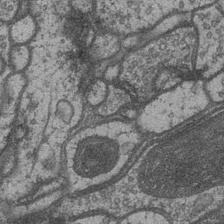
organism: Drosophila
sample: Optic medulla